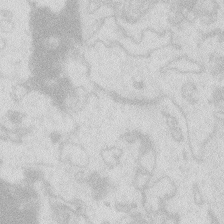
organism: Zebrafish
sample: Macrophage